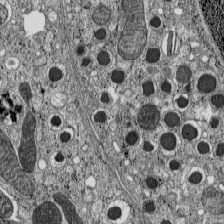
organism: C57BL Mouse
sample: Pancreatic islet